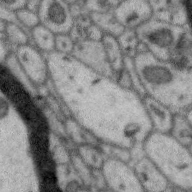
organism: Zebra finch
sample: Brain